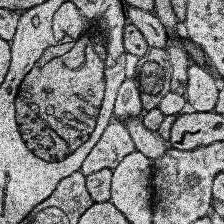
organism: Human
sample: Temporal Lobe